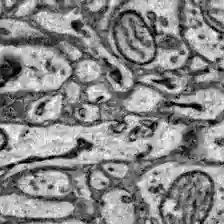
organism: Zebrafish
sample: Brain